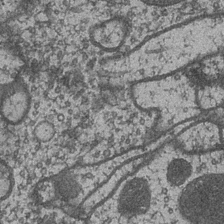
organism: Drosophila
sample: Optic medulla